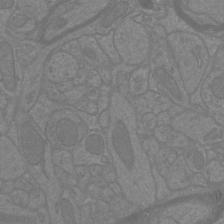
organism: Mouse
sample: Cortical neurons